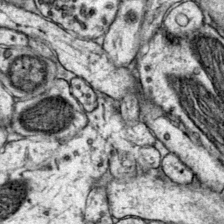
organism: Mouse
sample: Primary visual cortex